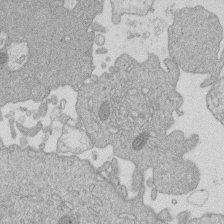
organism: Human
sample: Macrophage cells